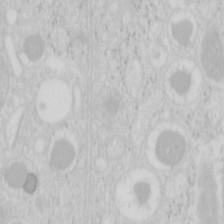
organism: Mouse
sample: Pancreas